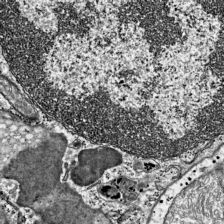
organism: Mouse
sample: Visual Cortex